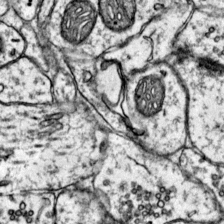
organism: Mouse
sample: Primary visual cortex